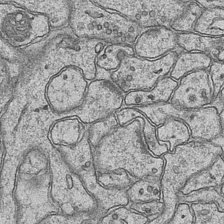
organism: Mouse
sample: CA1 Hippocampus